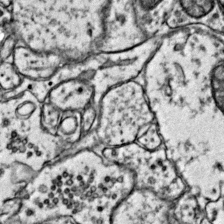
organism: Mouse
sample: Primary visual cortex